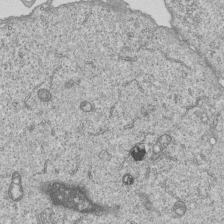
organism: Human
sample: MDA-MB-231 cells